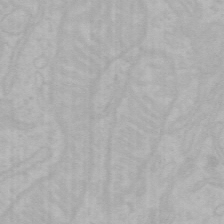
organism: Mouse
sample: Choroid plexus